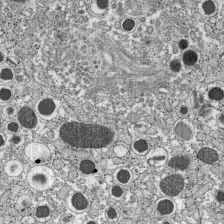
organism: C57BL Mouse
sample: Pancreatic islet